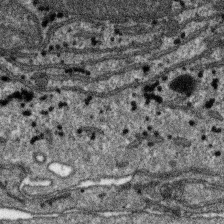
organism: Human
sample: Lung epithelial cells infected with SARS-CoV-2